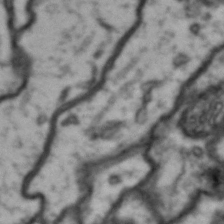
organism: Drosophila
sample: Brain